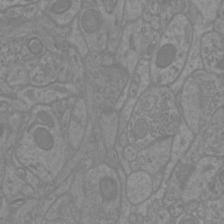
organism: Mouse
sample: Cortical neurons